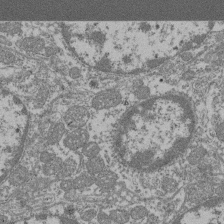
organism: Mouse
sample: Glomerulus